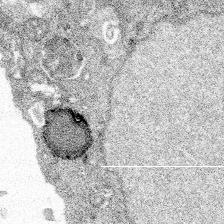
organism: Spongilla lacustris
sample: Multiple